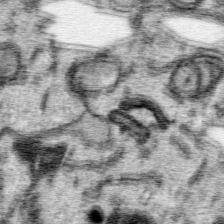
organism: Human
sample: HeLa cells